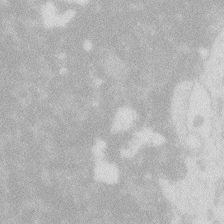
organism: Zebrafish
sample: Macrophage